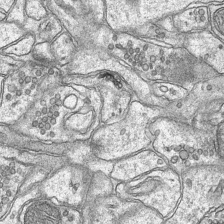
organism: Mouse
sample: CA1 Hippocampus